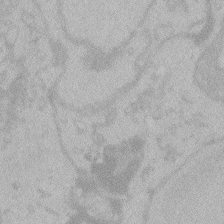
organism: Zebrafish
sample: Macrophage infected with Toxoplasma gondii